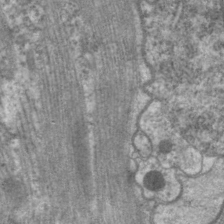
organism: C. elegans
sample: Pharynx